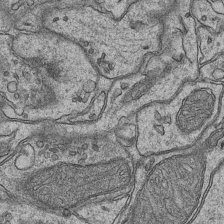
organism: Mouse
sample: CA1 Hippocampus